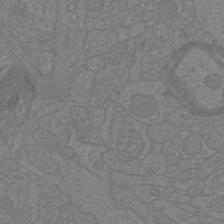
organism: Mouse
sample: Cortical neurons